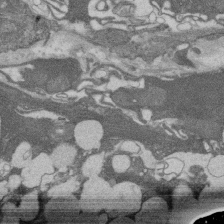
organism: Rat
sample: Salivary granule